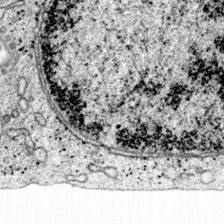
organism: Human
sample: HeLa cells